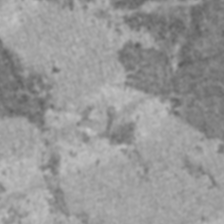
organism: C57BL Mouse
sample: Heart